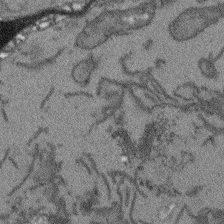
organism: Arabidopsis thaliana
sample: Root tip